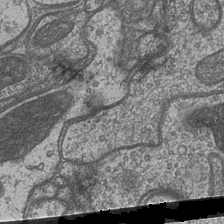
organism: Drosophila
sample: Optic medulla